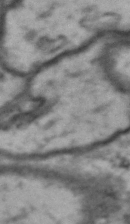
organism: Drosophila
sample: Brain